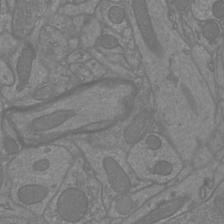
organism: Mouse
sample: Cortical neurons